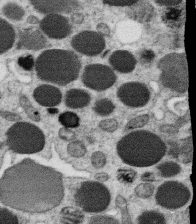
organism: C. elegans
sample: C. elegans oocyte; sperm cells